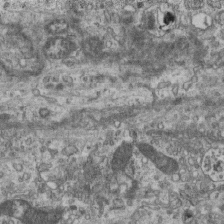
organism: Mouse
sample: Centriole in ependymal cells